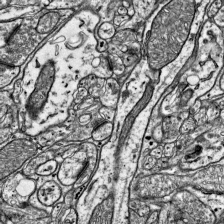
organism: Mouse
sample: Visual Cortex